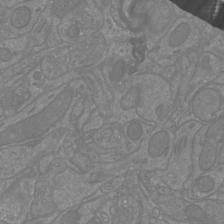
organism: Mouse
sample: Cortical neurons